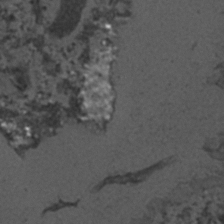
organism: C. elegans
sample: C. elegans embryo